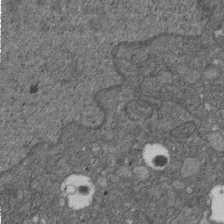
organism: Drosophila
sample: Nephrocyte